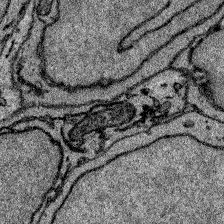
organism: Zebrafish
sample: Larval olfactory bulb